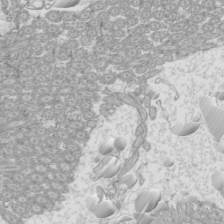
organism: Mouse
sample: Cilia; mouse epididymis